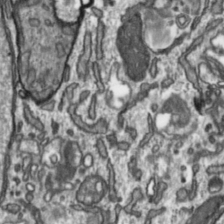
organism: Toxoplasma gondii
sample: Parasites in a vacuole inside a host cell